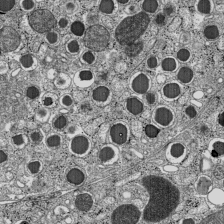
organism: C57BL Mouse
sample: Pancreatic islet